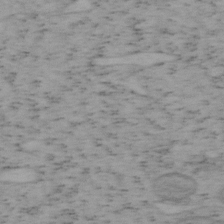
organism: Mouse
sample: OT-I killer T cells with ID8 ovarian cancer cells